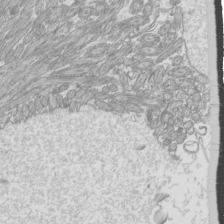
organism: Mouse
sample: Cilia; mouse epididymis